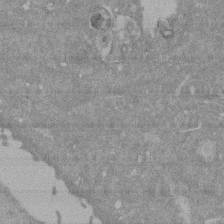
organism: Mouse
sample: ED-1 cell nuclei; centrioles